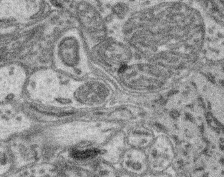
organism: Mouse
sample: Retina